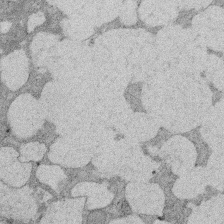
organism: Rat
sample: Salivary granule